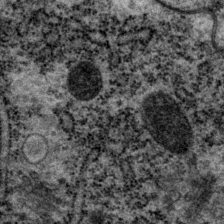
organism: P. pacificus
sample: Pharynx